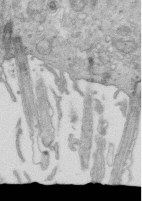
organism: Mouse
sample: Multiciliated cells